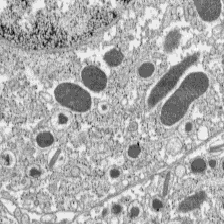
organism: C57BL Mouse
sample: Pancreatic islet